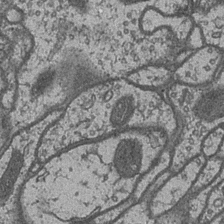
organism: Drosophila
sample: Optic medulla